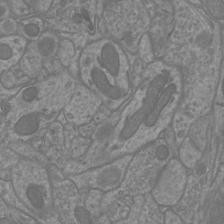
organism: Mouse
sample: Cortical neurons